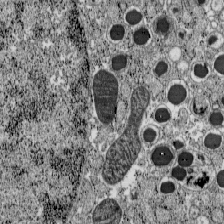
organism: C57BL Mouse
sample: Pancreatic islet